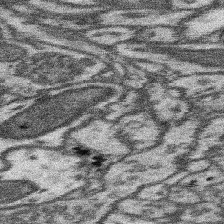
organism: Mouse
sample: Somatosensory cortex neuropil